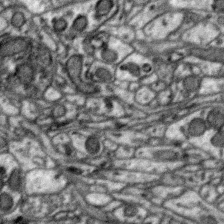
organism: Zebra finch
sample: Brain